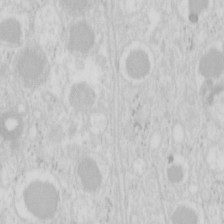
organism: Mouse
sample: Pancreas